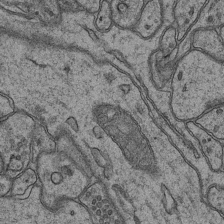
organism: Mouse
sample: CA1 Hippocampus